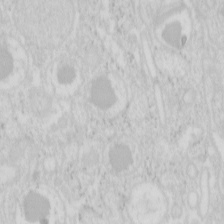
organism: Mouse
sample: Pancreas